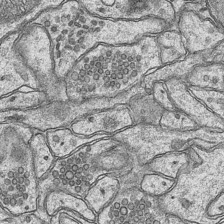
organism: Mouse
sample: CA1 Hippocampus